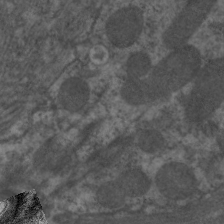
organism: C. elegans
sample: Pharynx